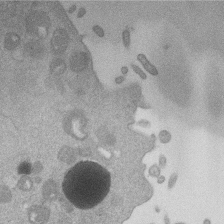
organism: Mouse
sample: Dividing mouse embryo 1 cell stage